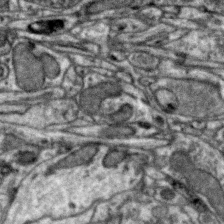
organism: Zebra finch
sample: Brain